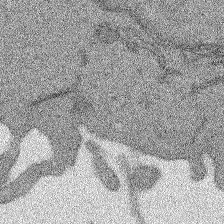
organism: Human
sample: HeLa cells